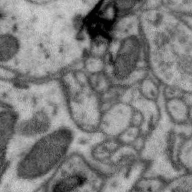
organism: Zebra finch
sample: Brain